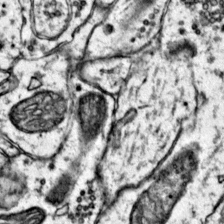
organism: Mouse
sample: Primary visual cortex